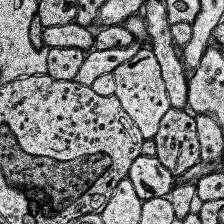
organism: Human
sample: Temporal Lobe